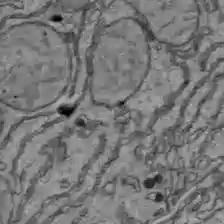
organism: C57BL Mouse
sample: Liver